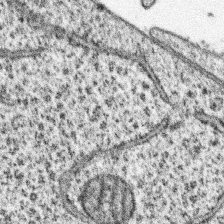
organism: Human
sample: HeLa cells